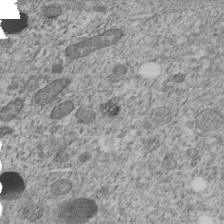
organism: C. elegans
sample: C. elegans embryo early stage